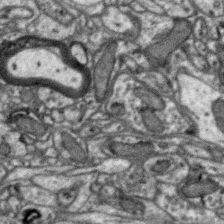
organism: Zebra finch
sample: Brain